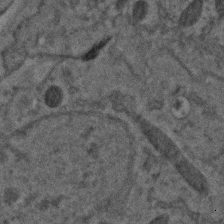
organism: C. elegans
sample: C. elegans embryo